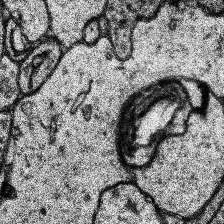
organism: Human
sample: Temporal Lobe